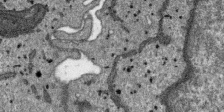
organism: Human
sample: Lung epithelial cells, uninfected (mock) control